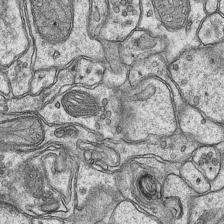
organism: Mouse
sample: CA1 Hippocampus